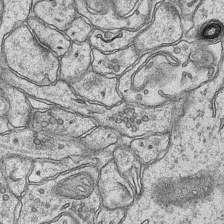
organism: Mouse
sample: CA1 Hippocampus